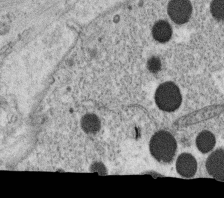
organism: C. elegans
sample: C. elegans oocyte; sperm cells